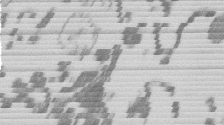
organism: Mouse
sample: Dividing mouse embryo 1 cell stage